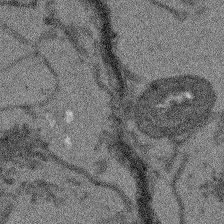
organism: Arabidopsis thaliana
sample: Root tip